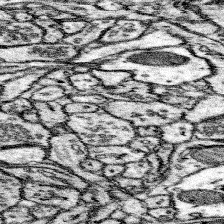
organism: Mouse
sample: Somatosensory cortex neuropil